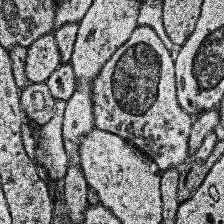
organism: Human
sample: Temporal Lobe